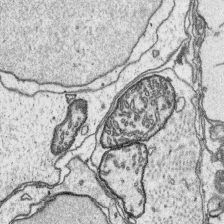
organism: Platynereis dumerilii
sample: Parapodia